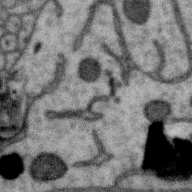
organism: Zebra finch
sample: Brain